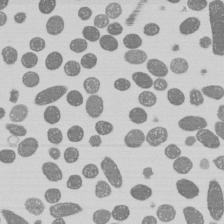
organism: E. coli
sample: Bacterial nucleoid